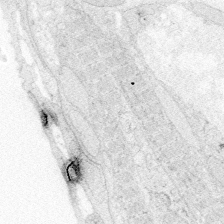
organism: Zebrafish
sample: Whole-Brain